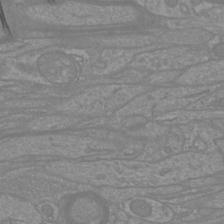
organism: Mouse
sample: Cortical neurons